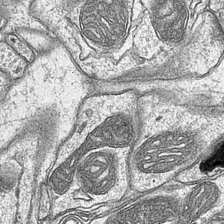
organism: Mouse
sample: CA1 Hippocampus